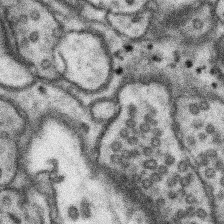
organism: Mouse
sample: Somatosensory cortex neuropil